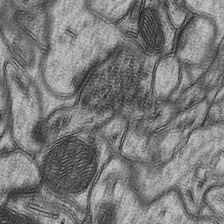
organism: Mouse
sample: CA1 Hippocampus